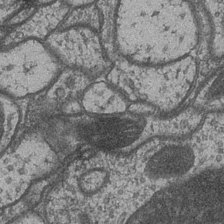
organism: Drosophila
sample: Optic medulla